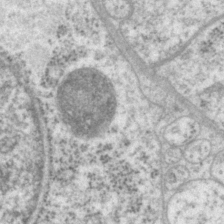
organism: P. pacificus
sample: Pharynx